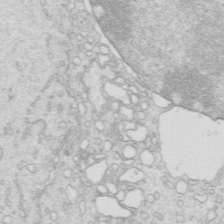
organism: Mouse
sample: Multiciliated cells